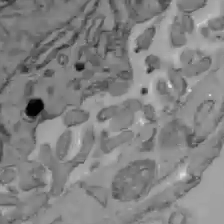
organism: C57BL Mouse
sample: Liver